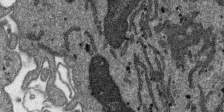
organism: Human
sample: Lung epithelial cells infected with SARS-CoV-2